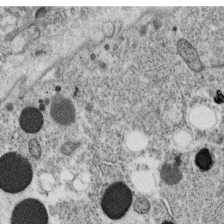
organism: C. elegans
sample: C. elegans oocyte; sperm cells